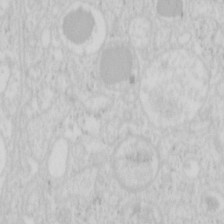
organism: Mouse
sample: Pancreas